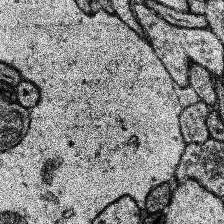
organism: Human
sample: Temporal Lobe